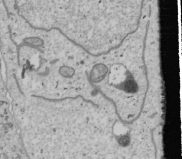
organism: Human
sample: Mitochondria in U2OS cells